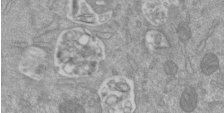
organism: Mouse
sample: ED-1 cell nuclei; centrioles